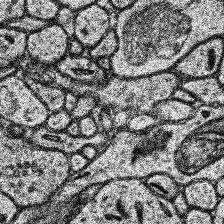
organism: Human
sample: Temporal Lobe